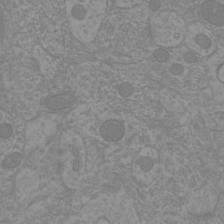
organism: Mouse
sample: Cortical neurons